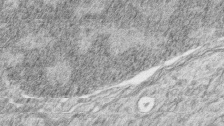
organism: Zebrafish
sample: synaptic ribbons in rod cells and cone cells